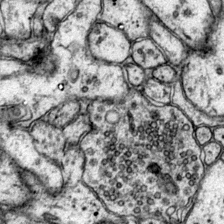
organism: Mouse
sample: Primary visual cortex